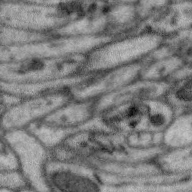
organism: Zebra finch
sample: Brain